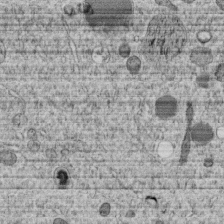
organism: C. elegans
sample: C. elegans embryo early stage